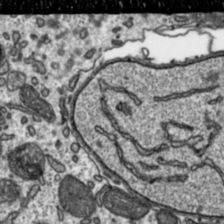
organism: Toxoplasma gondii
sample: Parasites in a vacuole inside a host cell